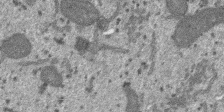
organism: Human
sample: Lung epithelial cells infected with SARS-CoV-2